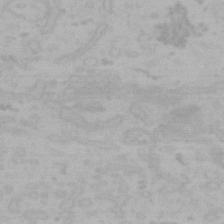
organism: Mouse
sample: Choroid plexus